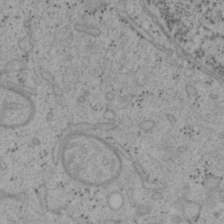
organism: Human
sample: HeLa cells